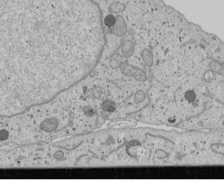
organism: Human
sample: Mitochondria in U2OS cells